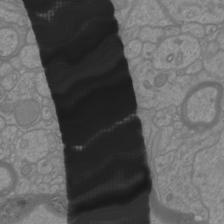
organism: Mouse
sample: Cortical neurons